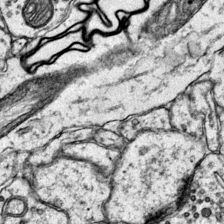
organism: Mouse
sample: Primary visual cortex